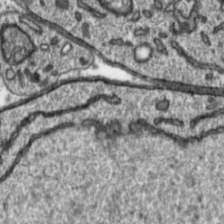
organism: Toxoplasma gondii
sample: Parasites in a vacuole inside a host cell